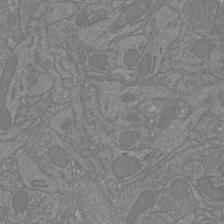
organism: Mouse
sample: Cortical neurons